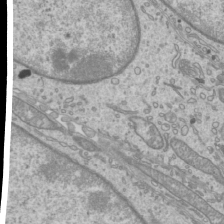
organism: Mouse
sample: Cilia; mouse epididymis